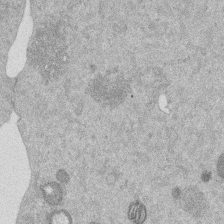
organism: Mouse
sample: Dividing mouse embryo 1 cell stage